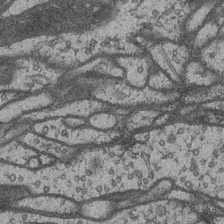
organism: Drosophila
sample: Optic medulla